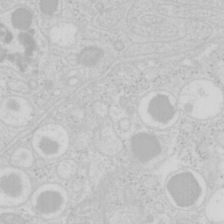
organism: Mouse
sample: Pancreas